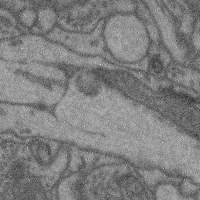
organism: Mouse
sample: Cerebral cortex